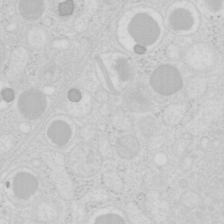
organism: Mouse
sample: Pancreas